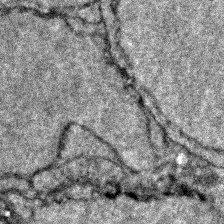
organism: Zebrafish